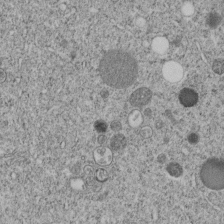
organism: C. elegans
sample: C. elegans embryo early stage